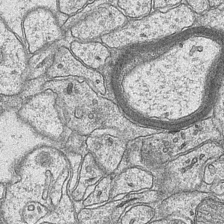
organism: Mouse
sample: CA1 Hippocampus